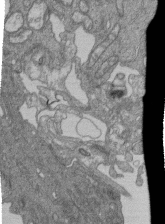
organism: Human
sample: Retinal organoid Rod and Cone cells